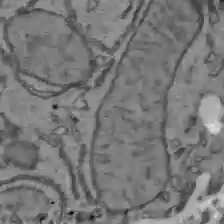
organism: C57BL Mouse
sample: Liver